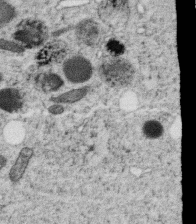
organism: C. elegans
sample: C. elegans oocyte; sperm cells